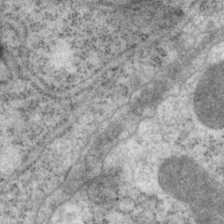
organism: P. pacificus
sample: Pharynx